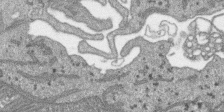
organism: Human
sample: Lung epithelial cells infected with SARS-CoV-2